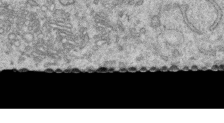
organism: Human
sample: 1205lu cells